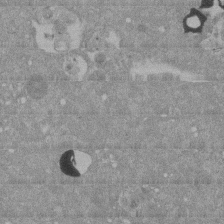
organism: Mouse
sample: ED-1 cell nuclei; centrioles